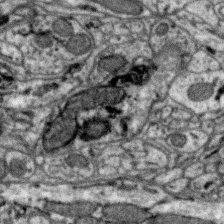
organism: Zebra finch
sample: Brain